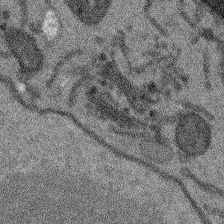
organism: Arabidopsis thaliana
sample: Root tip